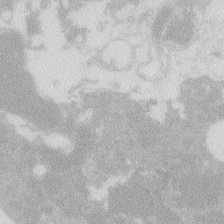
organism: Zebrafish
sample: Macrophage